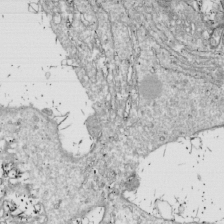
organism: Drosophila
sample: Cell division; meiosis; drosophila spermatocytes